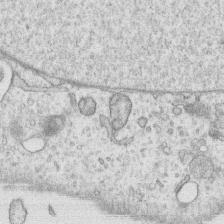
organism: Human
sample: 1205lu cells